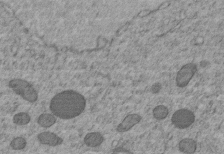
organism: C. elegans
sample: C. elegans embryo early stage